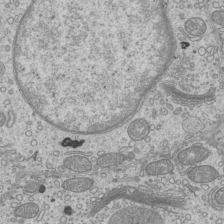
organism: Mouse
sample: Cilia; mouse epididymis